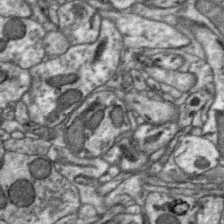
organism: Zebra finch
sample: Brain